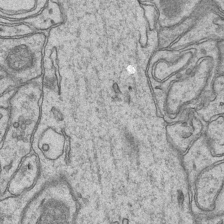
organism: Mouse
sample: CA1 Hippocampus